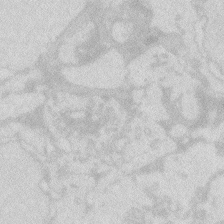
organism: Zebrafish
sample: Macrophage